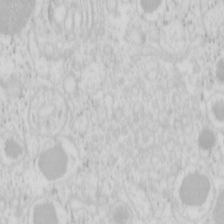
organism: Mouse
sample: Pancreas